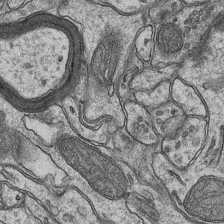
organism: Mouse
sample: CA1 Hippocampus